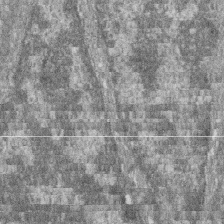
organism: Zebrafish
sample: Cilia; retinal pigment epithelium